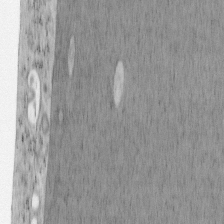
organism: Human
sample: HeLa cells